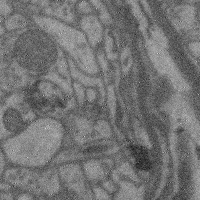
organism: Mouse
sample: Cerebral cortex